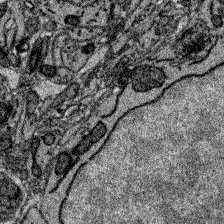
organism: Zebrafish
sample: Larval olfactory bulb